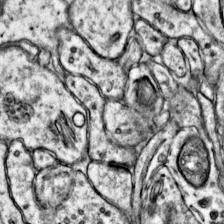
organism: Mouse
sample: Primary visual cortex